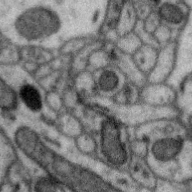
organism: Zebra finch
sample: Brain